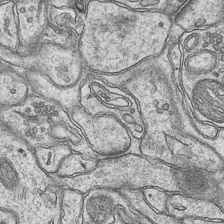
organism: Mouse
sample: CA1 Hippocampus